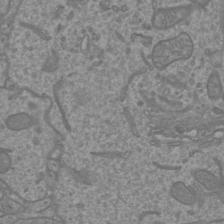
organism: Mouse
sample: Cortical neurons